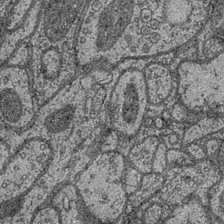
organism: Drosophila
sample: Optic medulla